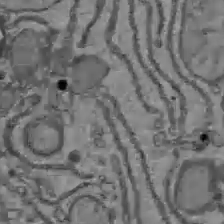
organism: C57BL Mouse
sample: Liver